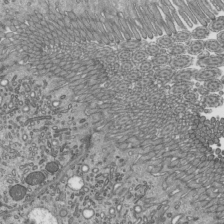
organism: Mouse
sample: Mouse epididymis efferent ductule cilia